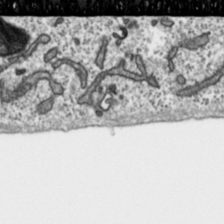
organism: Toxoplasma gondii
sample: Parasites in a vacuole inside a host cell